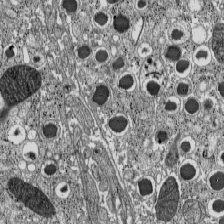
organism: C57BL Mouse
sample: Pancreatic islet